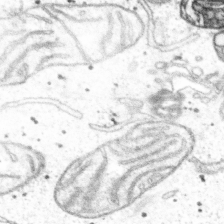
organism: Human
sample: HeLa cells